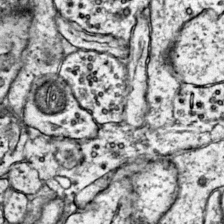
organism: Mouse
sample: Primary visual cortex